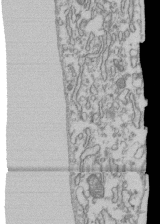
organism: Human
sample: Fibroblast cells